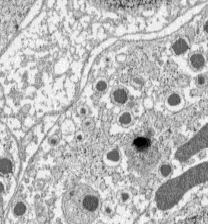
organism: C57BL Mouse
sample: Pancreatic islet